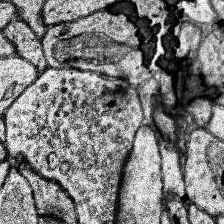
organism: Human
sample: Temporal Lobe